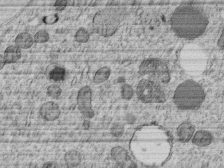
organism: C. elegans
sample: C. elegans embryo early stage